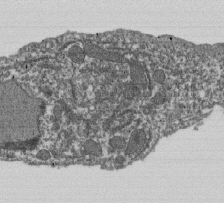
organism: Dictyostelium discoideum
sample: Dictyostelium multivesicular bodies